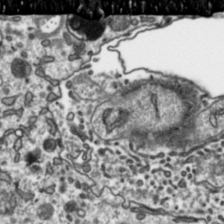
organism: Toxoplasma gondii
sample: Parasites in a vacuole inside a host cell